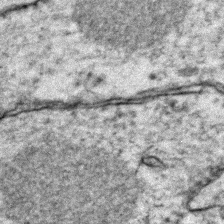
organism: Zebrafish